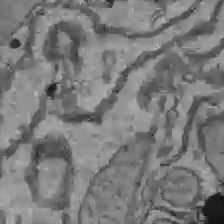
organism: C57BL Mouse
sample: Liver